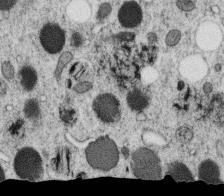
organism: C. elegans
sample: C. elegans oocyte; sperm cells